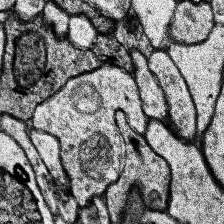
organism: Human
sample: Temporal Lobe